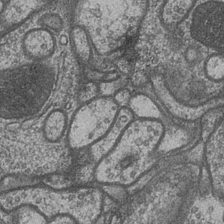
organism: Drosophila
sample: Optic medulla